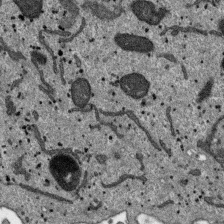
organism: Human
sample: Lung epithelial cells, uninfected (mock) control